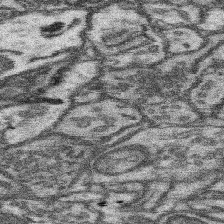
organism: Mouse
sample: Somatosensory cortex neuropil